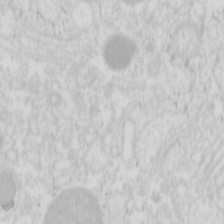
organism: Mouse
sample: Pancreas